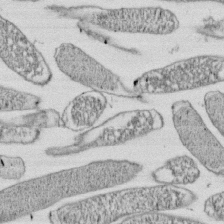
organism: E. coli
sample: Bacterial nucleoid